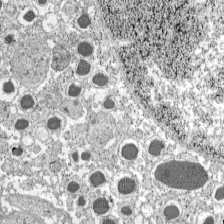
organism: C57BL Mouse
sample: Pancreatic islet